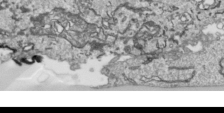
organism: Human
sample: Mitochondria in HCT116 cells